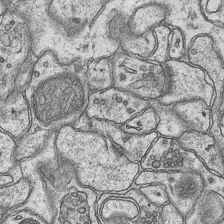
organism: Mouse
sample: CA1 Hippocampus